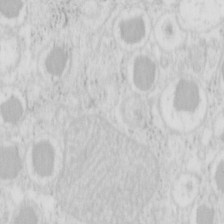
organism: Mouse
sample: Pancreas